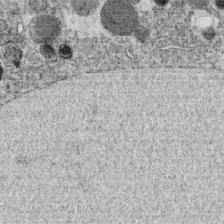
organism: C. elegans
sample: C. elegans oocyte; sperm cells